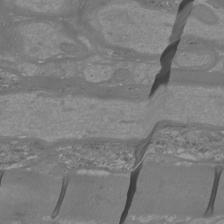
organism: Mouse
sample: Cortical neurons